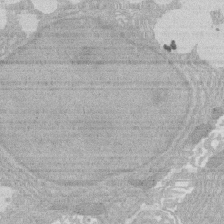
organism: Rat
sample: Salivary granule